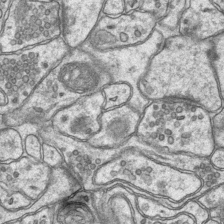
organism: Mouse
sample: CA1 Hippocampus